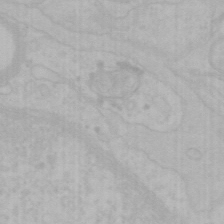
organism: Mouse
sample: Choroid plexus